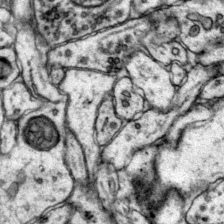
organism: Mouse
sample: Primary visual cortex